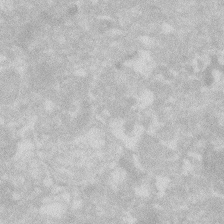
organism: Zebrafish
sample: Macrophage